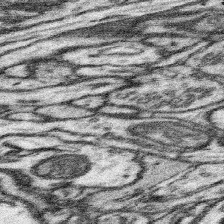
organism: Mouse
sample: Somatosensory cortex neuropil